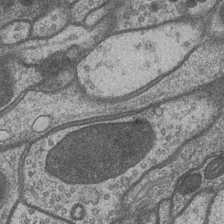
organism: Drosophila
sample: Optic medulla